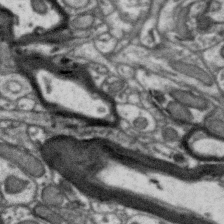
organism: Zebra finch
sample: Brain